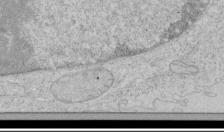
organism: Human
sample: Mitochondria in HCT116 cells